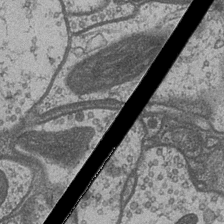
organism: Drosophila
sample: Optic medulla